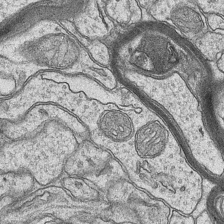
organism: Mouse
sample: CA1 Hippocampus